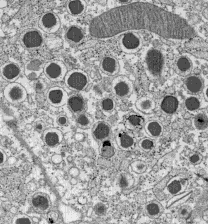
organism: C57BL Mouse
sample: Pancreatic islet